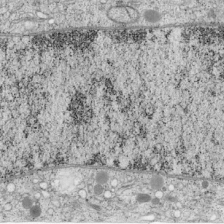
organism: African green monkey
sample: COS-7 cells